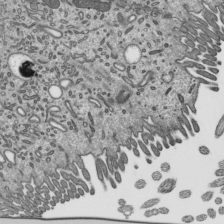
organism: Mouse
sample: Mouse epididymis efferent ductule cilia